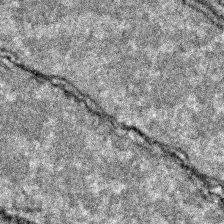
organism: Zebrafish